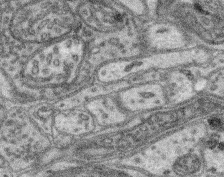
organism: Mouse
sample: Retina